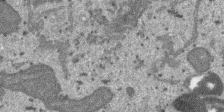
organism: Human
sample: Lung epithelial cells infected with SARS-CoV-2